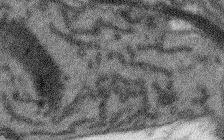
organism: Arabidopsis thaliana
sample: Root tip